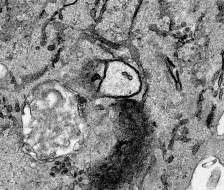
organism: Human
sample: Mitochondria in HCT116 cells